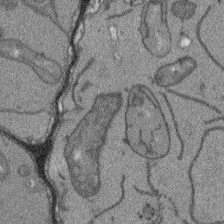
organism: Arabidopsis thaliana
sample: Root tip